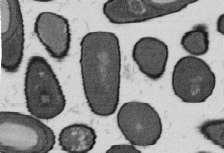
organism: B. subtilis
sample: Bacterial spore